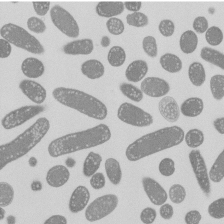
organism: E. coli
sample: Bacterial nucleoid